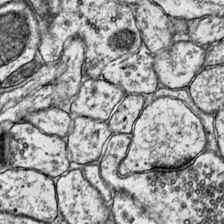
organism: Mouse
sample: Primary visual cortex